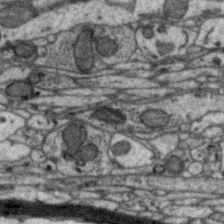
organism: Zebra finch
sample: Brain